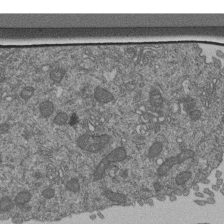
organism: Human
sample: Retinal organoid Rod and Cone cells